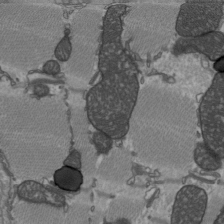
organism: C57BL Mouse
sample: Heart